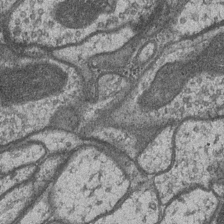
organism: Drosophila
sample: Optic medulla